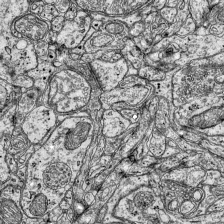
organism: Mouse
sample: Visual Cortex